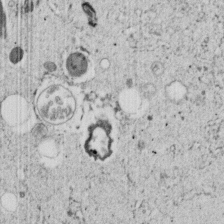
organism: C. elegans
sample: C. elegans embryo early stage